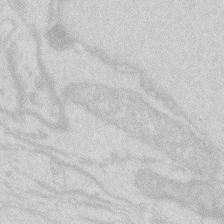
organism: Zebrafish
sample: Macrophage